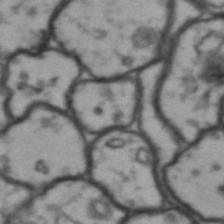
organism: Drosophila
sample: Brain